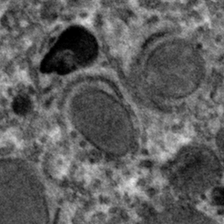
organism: Mouse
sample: Mouse hepatocytes